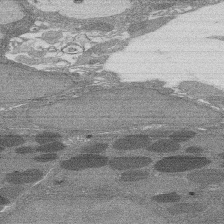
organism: Rat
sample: Salivary granule